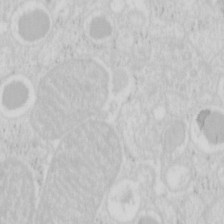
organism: Mouse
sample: Pancreas